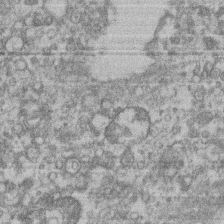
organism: Mouse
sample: T cell stromal cell synapse